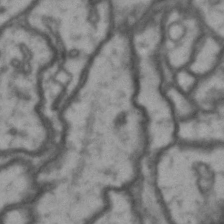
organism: Drosophila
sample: Brain